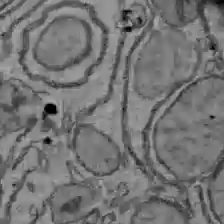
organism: C57BL Mouse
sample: Liver